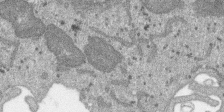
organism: Human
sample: Lung epithelial cells infected with SARS-CoV-2